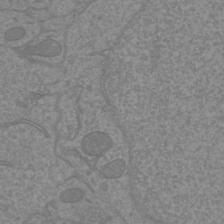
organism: Mouse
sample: Cortical neurons